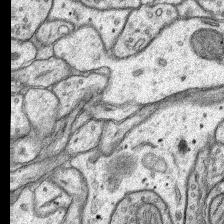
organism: Rat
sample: Hippocampus